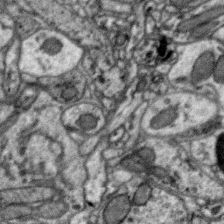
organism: Zebra finch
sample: Brain